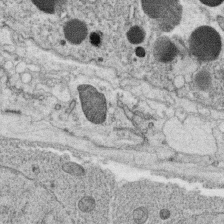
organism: C. elegans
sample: C. elegans oocyte; sperm cells